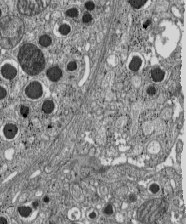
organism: C57BL Mouse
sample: Pancreatic islet